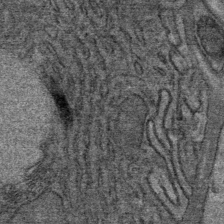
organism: Mouse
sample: Mouse Salivary gland